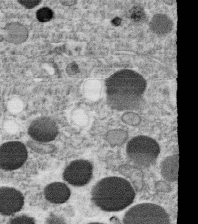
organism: C. elegans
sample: C. elegans oocyte; sperm cells